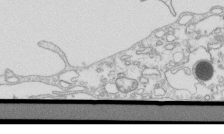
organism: Mouse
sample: Macrophages